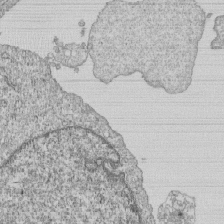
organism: Human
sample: MDA-MB-231 cells